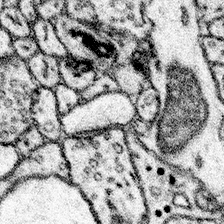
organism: Mouse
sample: Somatosensory cortex neuropil